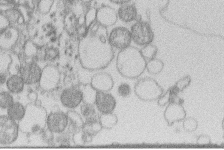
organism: Human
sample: Macrophage cells